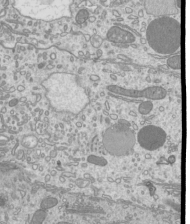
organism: Mouse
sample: Cilia; mouse epididymis